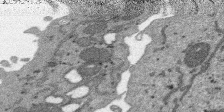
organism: Human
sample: Lung epithelial cells infected with SARS-CoV-2